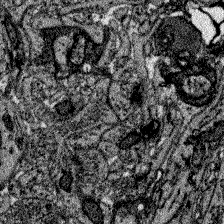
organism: Zebrafish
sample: Larval olfactory bulb